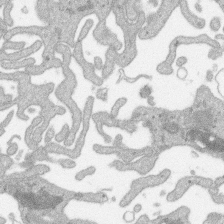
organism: Human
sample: Lung epithelial cells infected with SARS-CoV-2